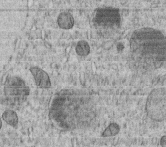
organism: C. elegans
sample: C. elegans embryo early stage